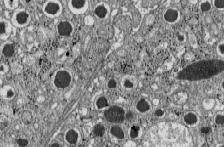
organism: C57BL Mouse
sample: Pancreatic islet